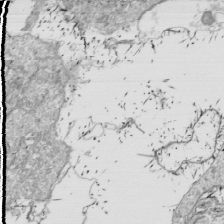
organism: Drosophila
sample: Cell division; meiosis; drosophila spermatocytes